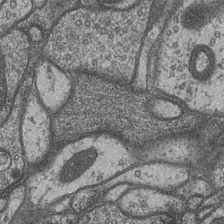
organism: Drosophila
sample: Optic medulla